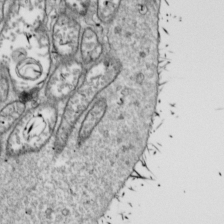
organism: Drosophila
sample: Cell division; meiosis; drosophila spermatocytes